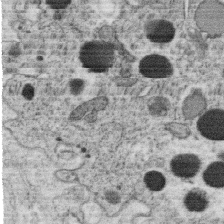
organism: C. elegans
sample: C. elegans oocyte; sperm cells